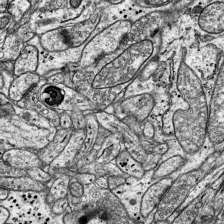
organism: Mouse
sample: Visual Cortex